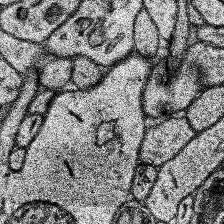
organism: Human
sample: Temporal Lobe